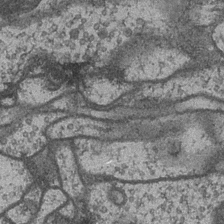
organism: Drosophila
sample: Optic medulla